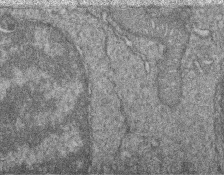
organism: Zebrafish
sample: Cilia; retinal pigment epithelium